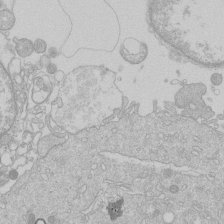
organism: Human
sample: Macrophage cells